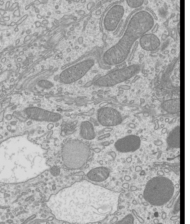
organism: Mouse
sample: Cilia; mouse epididymis